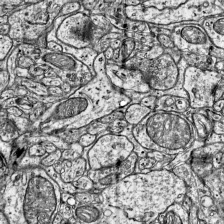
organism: Mouse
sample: Visual Cortex